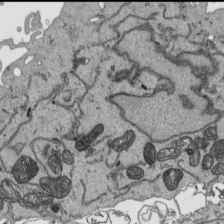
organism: Human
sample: Mitochondria in HCT116 cells